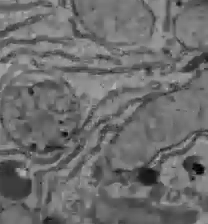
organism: C57BL Mouse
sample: Liver